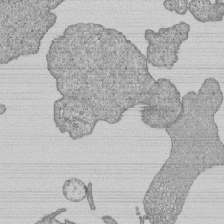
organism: Human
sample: MDA-MB-231 cells